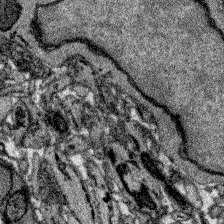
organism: Zebrafish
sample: Larval olfactory bulb